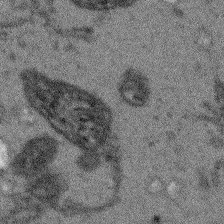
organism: Arabidopsis thaliana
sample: Root tip